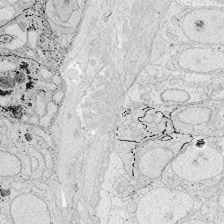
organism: Zebrafish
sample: Whole-Brain